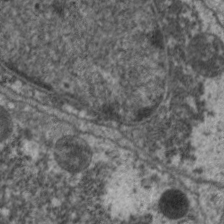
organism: C. elegans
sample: Pharynx